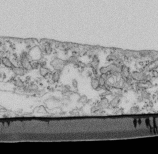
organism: Mouse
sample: Cilia; retinal pigment epithelium